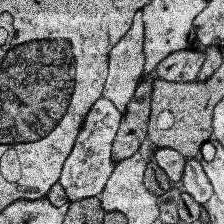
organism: Human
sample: Temporal Lobe